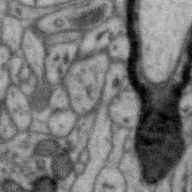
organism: Zebra finch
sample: Brain